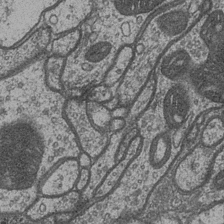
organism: Drosophila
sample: Optic medulla